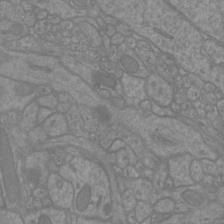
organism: Mouse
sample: Cortical neurons